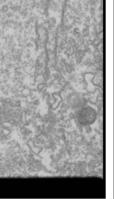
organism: Drosophila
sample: Cell division; meiosis; drosophila spermatocytes